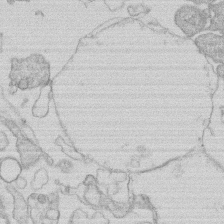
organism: Human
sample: Macrophage cells